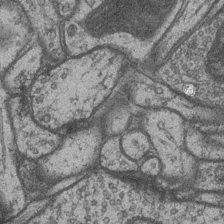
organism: Drosophila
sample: Optic medulla